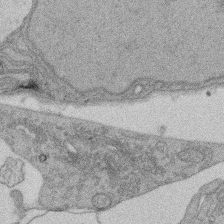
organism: Rat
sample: Salivary granule